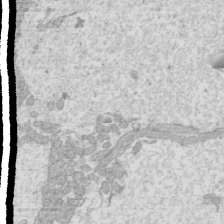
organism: Mouse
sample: Cilia; mouse epididymis